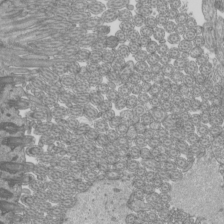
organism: Mouse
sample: Cilia; mouse epididymis